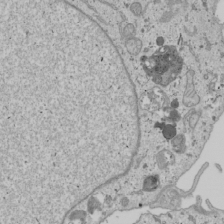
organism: Human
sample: Mitochondria in U2OS cells